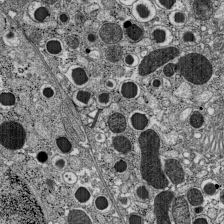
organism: C57BL Mouse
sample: Pancreatic islet